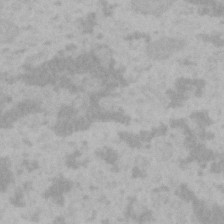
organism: Mouse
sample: Choroid plexus